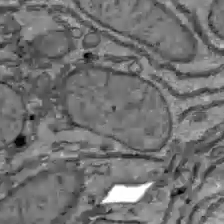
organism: C57BL Mouse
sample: Liver